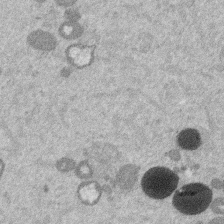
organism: Mouse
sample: Dividing mouse embryo 1 cell stage